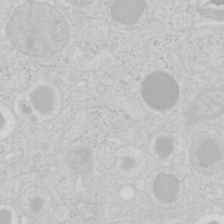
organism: Mouse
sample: Pancreas